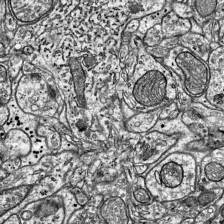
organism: Mouse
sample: Visual Cortex